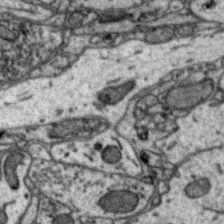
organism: Zebra finch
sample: Brain